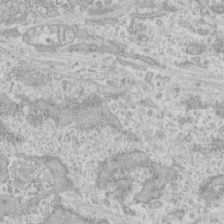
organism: Human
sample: CRL-1474